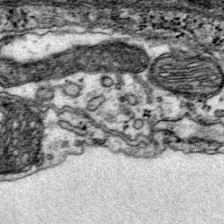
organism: Mouse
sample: Primary visual cortex